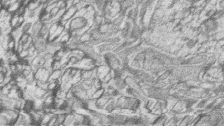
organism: Zebrafish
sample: synaptic ribbons in rod cells and cone cells